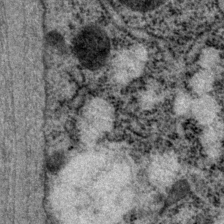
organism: P. pacificus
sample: Pharynx